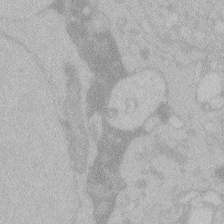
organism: Zebrafish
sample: Macrophage infected with Toxoplasma gondii